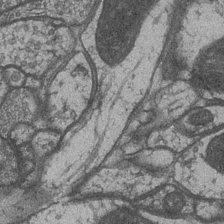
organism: Drosophila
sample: Optic medulla